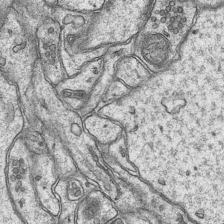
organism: Mouse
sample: CA1 Hippocampus